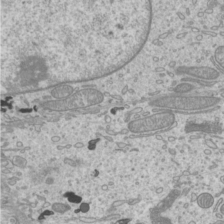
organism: Mouse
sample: Cilia; mouse epididymis